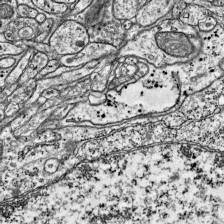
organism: Mouse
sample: Visual Cortex